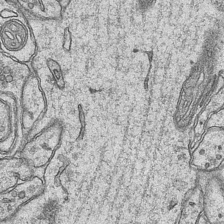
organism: Mouse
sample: CA1 Hippocampus